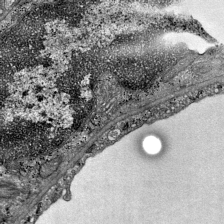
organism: Mouse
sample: Visual Cortex